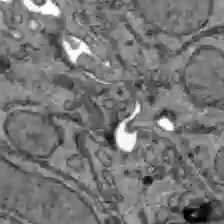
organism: C57BL Mouse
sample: Liver